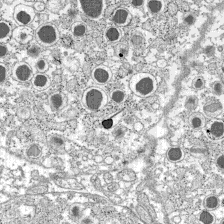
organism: C57BL Mouse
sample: Pancreatic islet